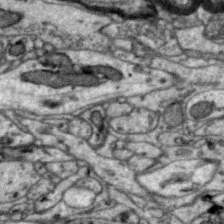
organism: Zebra finch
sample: Brain